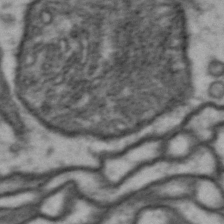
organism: Drosophila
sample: Brain